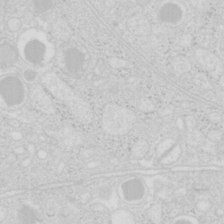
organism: Mouse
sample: Pancreas